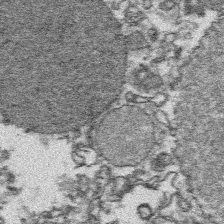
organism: Platynereis dumerilii